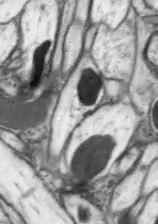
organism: Drosophila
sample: Optic lobe